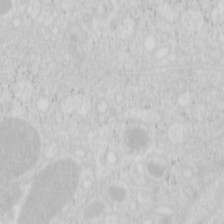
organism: Mouse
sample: Pancreas